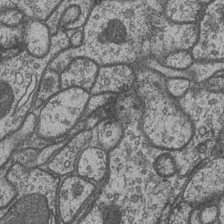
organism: Drosophila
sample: Optic medulla